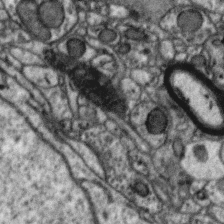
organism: Zebra finch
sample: Brain